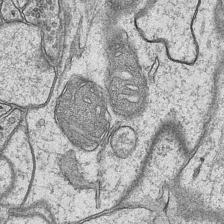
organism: Mouse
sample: CA1 Hippocampus